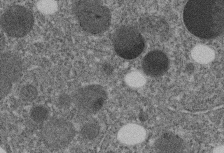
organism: C. elegans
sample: C. elegans embryo early stage